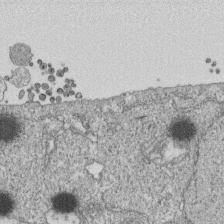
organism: Human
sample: HeLa cell HIV synapse